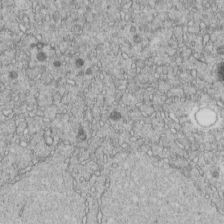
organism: C. elegans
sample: C. elegans embryo early stage